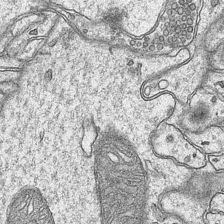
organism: Mouse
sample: CA1 Hippocampus